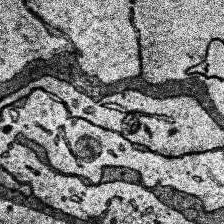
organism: Human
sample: Temporal Lobe